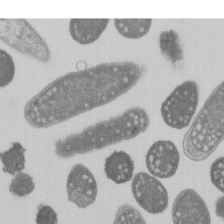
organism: E. coli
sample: Bacterial nucleoid